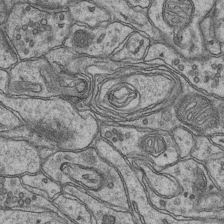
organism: Mouse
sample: CA1 Hippocampus